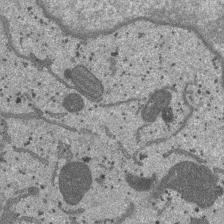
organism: Human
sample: Lung epithelial cells infected with SARS-CoV-2